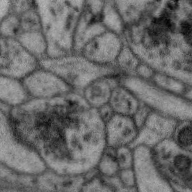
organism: Zebra finch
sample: Brain